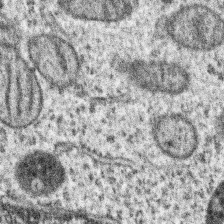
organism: Human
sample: HeLa cells